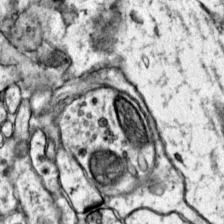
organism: Mouse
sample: Primary visual cortex